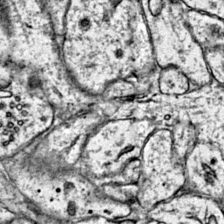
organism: Mouse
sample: Primary visual cortex